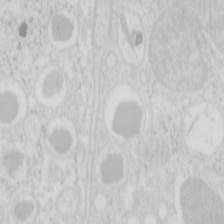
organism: Mouse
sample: Pancreas